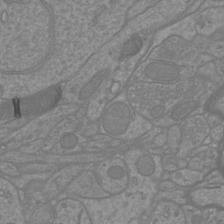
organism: Mouse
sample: Cortical neurons